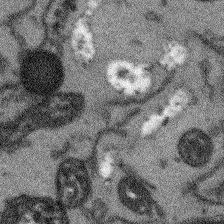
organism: Arabidopsis thaliana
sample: Root tip